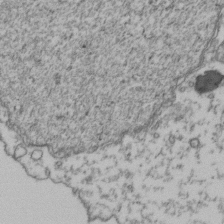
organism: Human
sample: Activated Jurkat CD4+ T cells